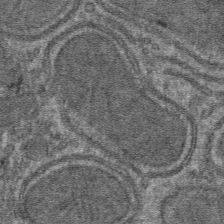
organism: Mouse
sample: Mouse hepatocytes